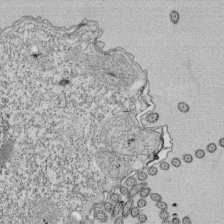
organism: Tetrahymena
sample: Cilia in tetrahymena